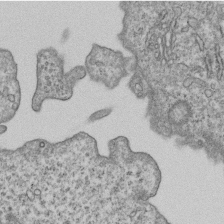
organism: Human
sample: MDA-MB-231 cells